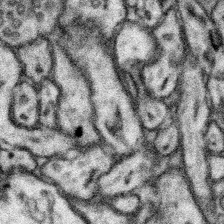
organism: Mouse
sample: Somatosensory cortex neuropil